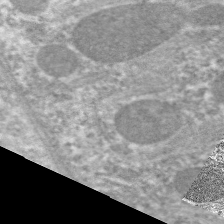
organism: C. elegans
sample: Pharynx